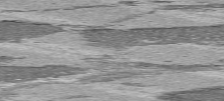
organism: C57BL Mouse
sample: Heart